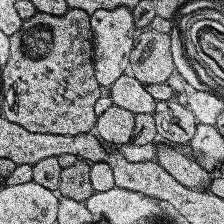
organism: Human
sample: Temporal Lobe